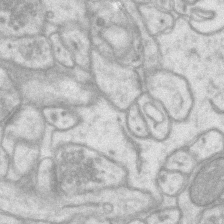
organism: Mouse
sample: CA1 Hippocampus